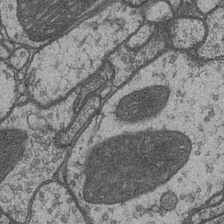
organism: Drosophila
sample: Optic medulla